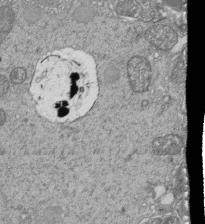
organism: Tetrahymena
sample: Cilia in tetrahymena